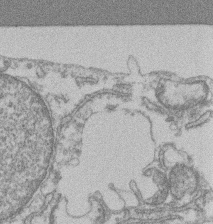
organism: Mouse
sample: T cell stromal cell synapse